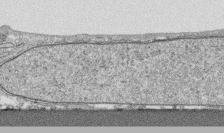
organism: Human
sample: CRL-1474